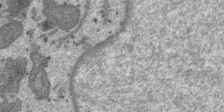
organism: Human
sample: Lung epithelial cells infected with SARS-CoV-2